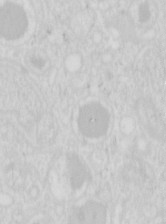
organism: Mouse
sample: Pancreas